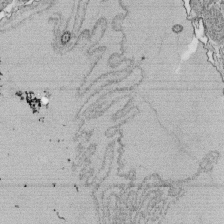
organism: Tetrahymena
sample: Cilia in tetrahymena